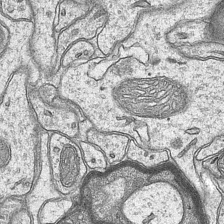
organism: Mouse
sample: CA1 Hippocampus